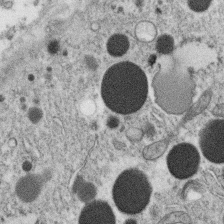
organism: C. elegans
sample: C. elegans oocyte; sperm cells